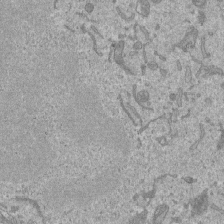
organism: Mouse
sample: ED-1 cell nuclei; centrioles